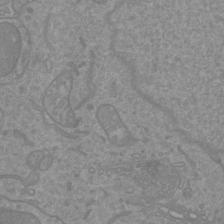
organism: Mouse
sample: Cortical neurons